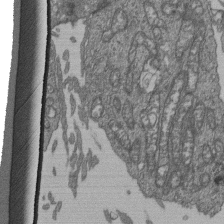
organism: Human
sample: Retinal organoid Rod and Cone cells